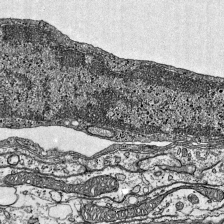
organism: Mouse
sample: Visual Cortex